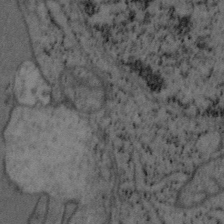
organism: Human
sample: HeLa cells